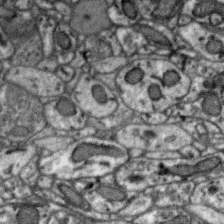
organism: Zebra finch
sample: Brain